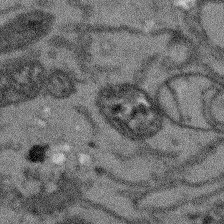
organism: Arabidopsis thaliana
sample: Root tip